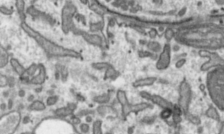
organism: Toxoplasma gondii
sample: Parasites in a vacuole inside a host cell